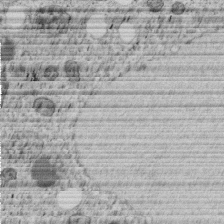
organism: C. elegans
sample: C. elegans embryo early stage